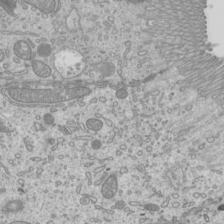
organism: Mouse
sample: Cilia; mouse epididymis